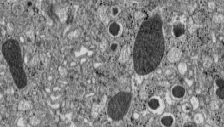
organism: C57BL Mouse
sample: Pancreatic islet